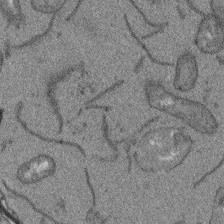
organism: Arabidopsis thaliana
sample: Root tip